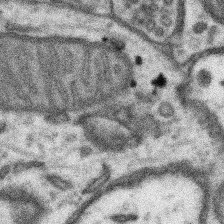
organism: Mouse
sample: Somatosensory cortex neuropil